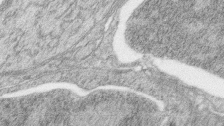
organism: Zebrafish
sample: synaptic ribbons in rod cells and cone cells